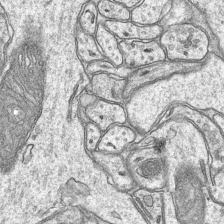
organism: Mouse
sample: CA1 Hippocampus